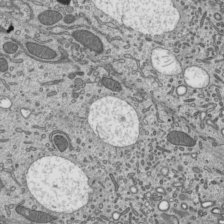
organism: Mouse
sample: Mouse epididymis efferent ductule cilia